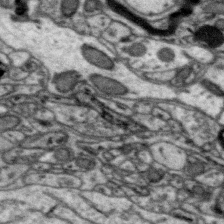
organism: Zebra finch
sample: Brain